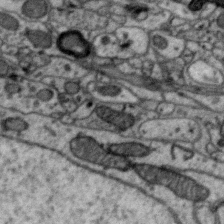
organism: Zebra finch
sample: Brain